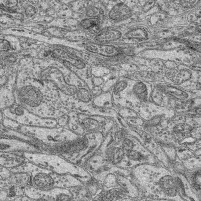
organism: Mouse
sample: Retina